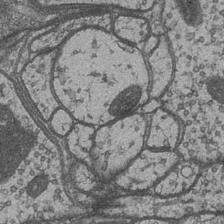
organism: Drosophila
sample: Optic medulla